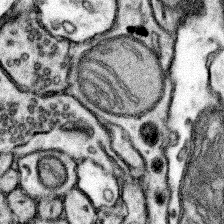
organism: Mouse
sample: Somatosensory cortex neuropil